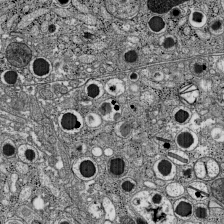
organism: C57BL Mouse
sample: Pancreatic islet